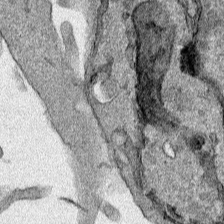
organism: Human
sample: Mitochondria in HCT116 cells